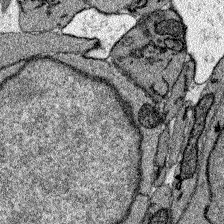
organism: Zebrafish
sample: Larval olfactory bulb